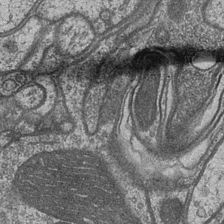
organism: Drosophila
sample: Optic medulla